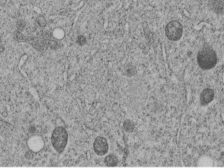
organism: C. elegans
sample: C. elegans embryo early stage